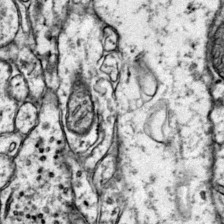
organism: Mouse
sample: Primary visual cortex